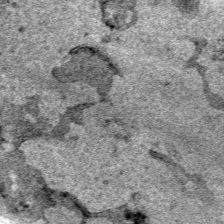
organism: Human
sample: Mitochondria in HCT116 cells